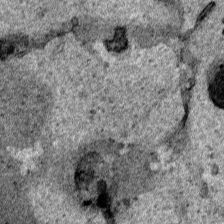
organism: Human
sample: Mitochondria in HCT116 cells